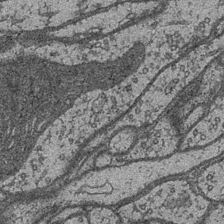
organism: Drosophila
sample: Optic medulla